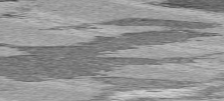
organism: C57BL Mouse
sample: Heart